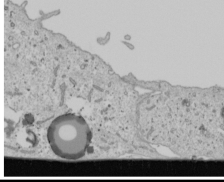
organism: Human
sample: Mitochondria in U2OS cells